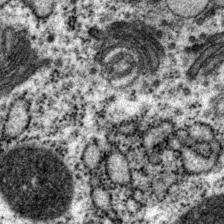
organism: P. pacificus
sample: Pharynx